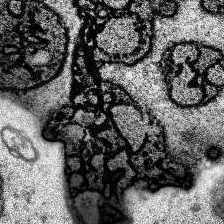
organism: Human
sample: Temporal Lobe